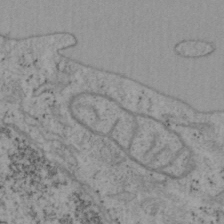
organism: Human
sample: HeLa cells